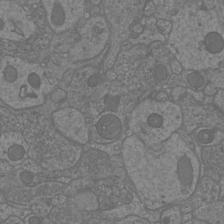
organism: Mouse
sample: Cortical neurons